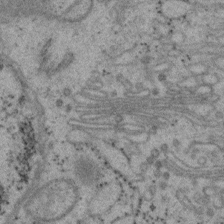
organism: Human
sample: HeLa cells